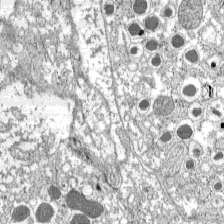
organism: C57BL Mouse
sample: Pancreatic islet